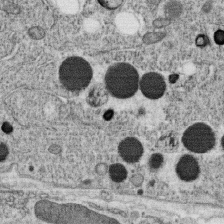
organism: C. elegans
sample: C. elegans oocyte; sperm cells